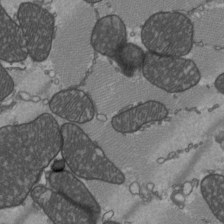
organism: C57BL Mouse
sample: Heart